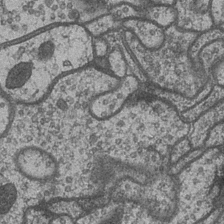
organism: Drosophila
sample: Optic medulla